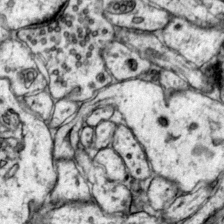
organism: Mouse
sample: Primary visual cortex